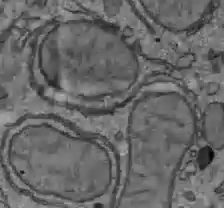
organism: C57BL Mouse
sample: Liver